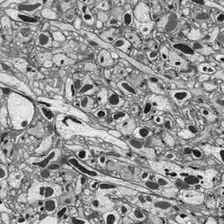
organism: Drosophila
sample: Optic lobe